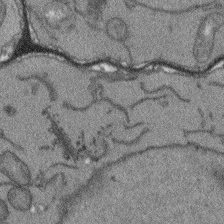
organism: Arabidopsis thaliana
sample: Root tip